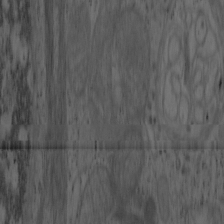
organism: Human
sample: HeLa cells